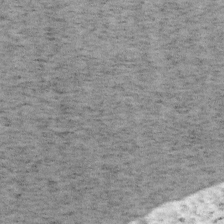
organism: Mouse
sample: OT-I killer T cells with ID8 ovarian cancer cells